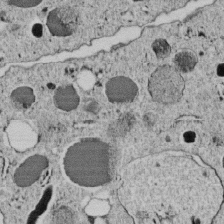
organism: C. elegans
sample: C. elegans embryo early stage